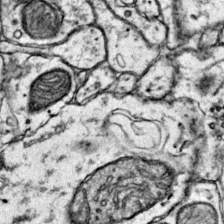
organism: Mouse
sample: Primary visual cortex